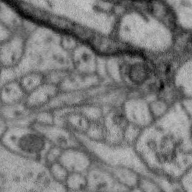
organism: Zebra finch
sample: Brain